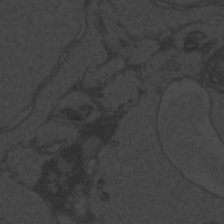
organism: Zebrafish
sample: Macrophage infected with Toxoplasma gondii